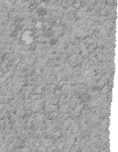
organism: C. elegans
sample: C. elegans embryo early stage